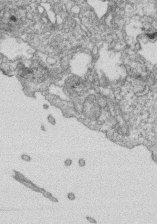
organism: Human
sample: HeLa cell HIV synapse